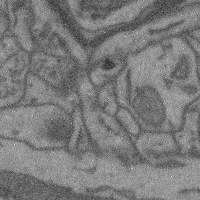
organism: Mouse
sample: Cerebral cortex